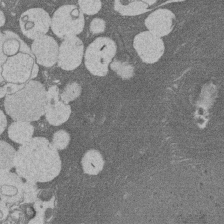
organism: Rat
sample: Salivary granule